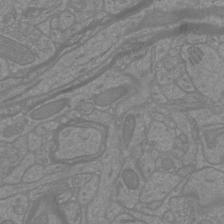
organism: Mouse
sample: Cortical neurons